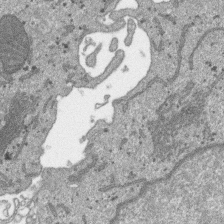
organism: Human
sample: Lung epithelial cells infected with SARS-CoV-2